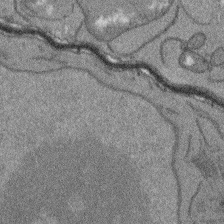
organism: Arabidopsis thaliana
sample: Root tip